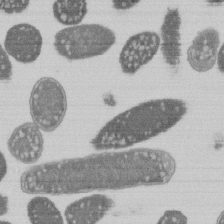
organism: E. coli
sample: Bacterial nucleoid